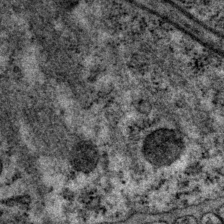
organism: P. pacificus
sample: Pharynx